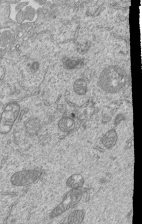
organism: Human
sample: MDA-MB-231 cells